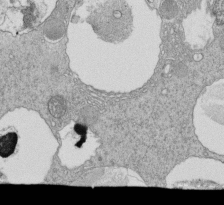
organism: Tetrahymena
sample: Cilia in tetrahymena